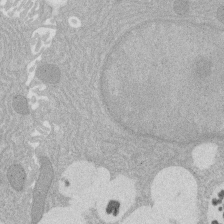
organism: Rat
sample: Salivary granule